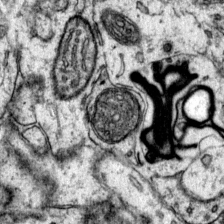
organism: Mouse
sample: Primary visual cortex